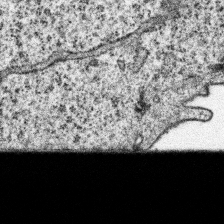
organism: Human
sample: HeLa cells